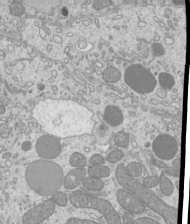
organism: Mouse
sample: Cilia; mouse epididymis